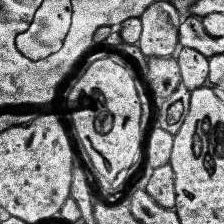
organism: Human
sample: Temporal Lobe